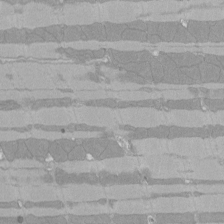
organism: Rat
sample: Left ventricle